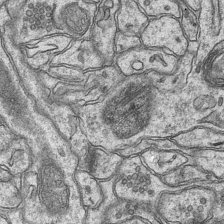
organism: Mouse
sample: CA1 Hippocampus